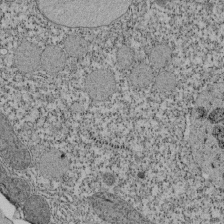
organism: Tetrahymena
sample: Cilia in tetrahymena